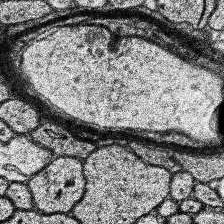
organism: Human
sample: Temporal Lobe